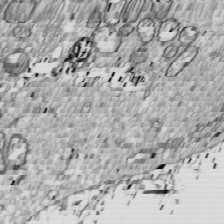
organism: Drosophila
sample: Cell division; meiosis; drosophila spermatocytes